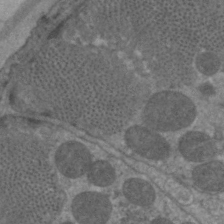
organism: C. elegans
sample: Pharynx